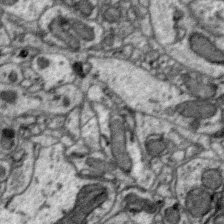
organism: Zebra finch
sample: Brain